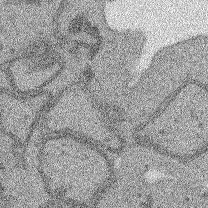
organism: Human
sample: HeLa cells